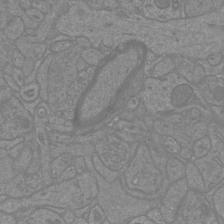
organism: Mouse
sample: Cortical neurons